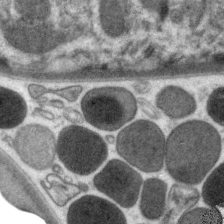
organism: C. elegans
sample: Pharynx